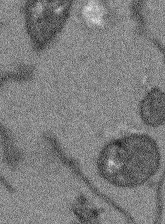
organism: Arabidopsis thaliana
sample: Root tip